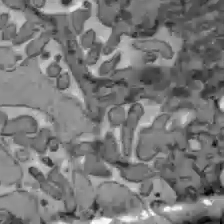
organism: C57BL Mouse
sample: Liver